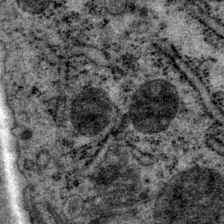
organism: P. pacificus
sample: Pharynx